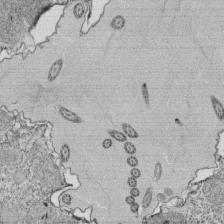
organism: Tetrahymena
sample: Cilia in tetrahymena